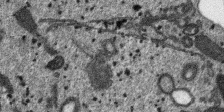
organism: Human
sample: Lung epithelial cells infected with SARS-CoV-2